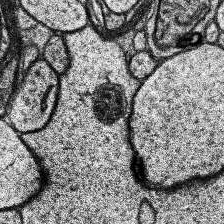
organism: Human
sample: Temporal Lobe